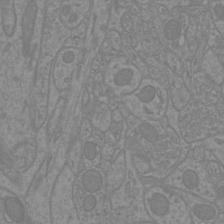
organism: Mouse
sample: Cortical neurons